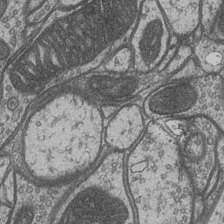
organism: Drosophila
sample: Optic medulla